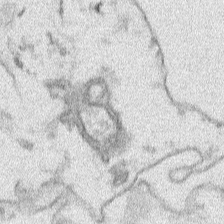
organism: Human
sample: Mitochondria in HCT116 cells